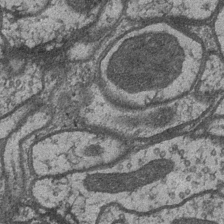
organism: Drosophila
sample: Optic medulla